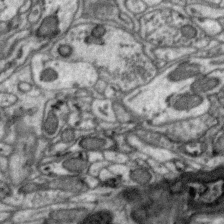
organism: Zebra finch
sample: Brain